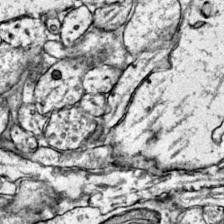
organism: Mouse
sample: Primary visual cortex